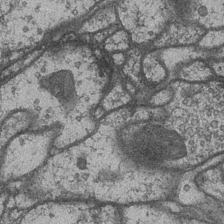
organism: Drosophila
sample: Optic medulla